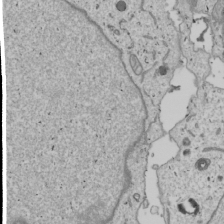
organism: Human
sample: Mitochondria in U2OS cells